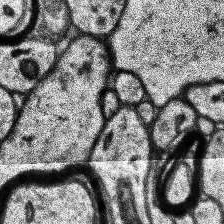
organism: Human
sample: Temporal Lobe